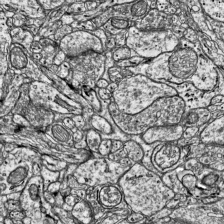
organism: Mouse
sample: Visual Cortex